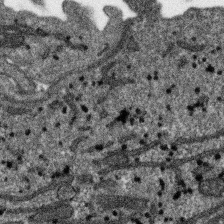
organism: Human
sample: Lung epithelial cells infected with SARS-CoV-2